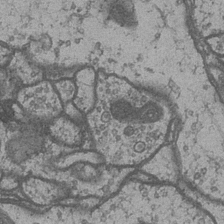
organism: Drosophila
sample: Optic medulla